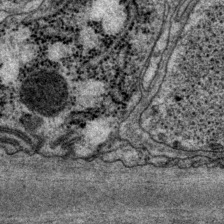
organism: P. pacificus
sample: Pharynx